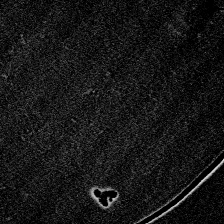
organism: Zebrafish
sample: Whole-Brain